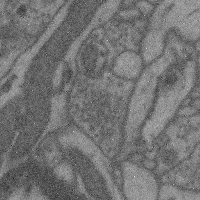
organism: Mouse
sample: Cerebral cortex